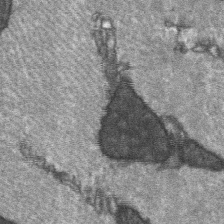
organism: C57BL Mouse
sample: Soleus